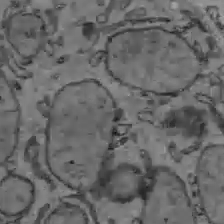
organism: C57BL Mouse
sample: Liver